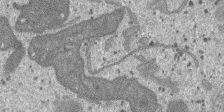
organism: Human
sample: Lung epithelial cells infected with SARS-CoV-2